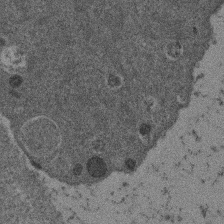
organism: Mouse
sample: Dividing mouse embryo 1 cell stage